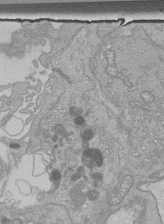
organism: Human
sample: Retinal organoid Rod and Cone cells